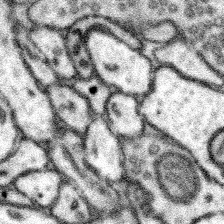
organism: Mouse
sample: Somatosensory cortex neuropil